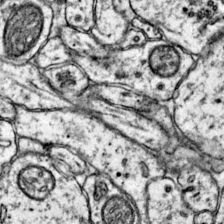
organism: Mouse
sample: Primary visual cortex